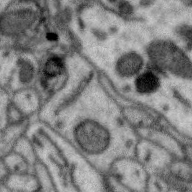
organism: Zebra finch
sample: Brain